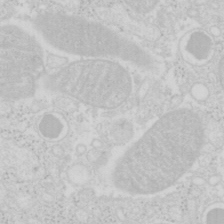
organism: Mouse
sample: Pancreas